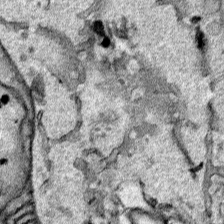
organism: Human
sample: Mitochondria in HCT116 cells